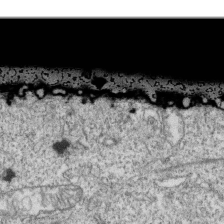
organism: Human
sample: HeLa cell HIV synapse